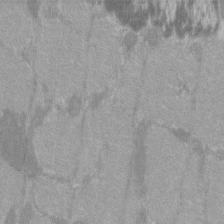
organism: C57BL Mouse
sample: Tibialis anterior muscle cell